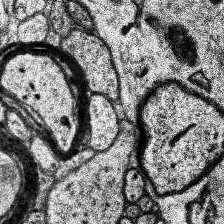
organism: Human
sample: Temporal Lobe